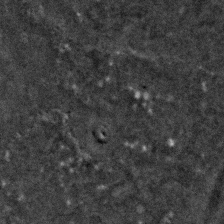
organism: C. elegans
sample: C. elegans embryo